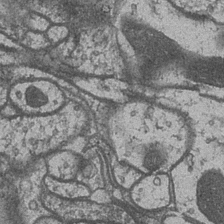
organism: Drosophila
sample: Optic medulla